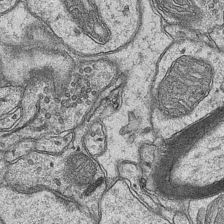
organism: Mouse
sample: CA1 Hippocampus